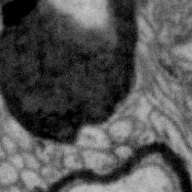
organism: Zebra finch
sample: Brain